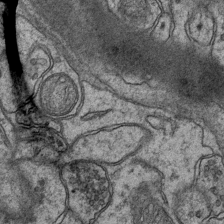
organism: Mouse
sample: CA1 Hippocampus